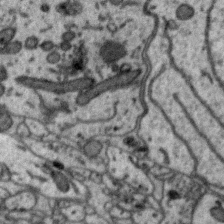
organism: Zebra finch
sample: Brain